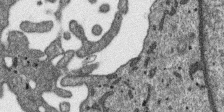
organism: Human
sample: Lung epithelial cells infected with SARS-CoV-2